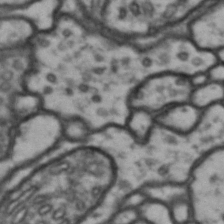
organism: Drosophila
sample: Brain